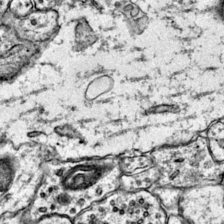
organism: Mouse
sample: Primary visual cortex